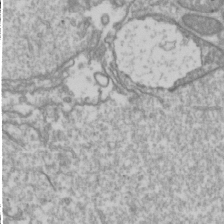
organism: Drosophila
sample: Cell division; meiosis; drosophila spermatocytes